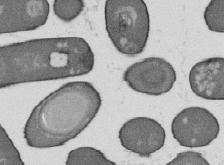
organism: B. subtilis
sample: Bacterial spore